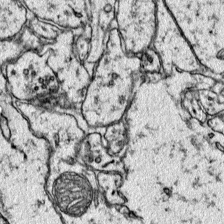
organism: Mouse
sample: Primary visual cortex